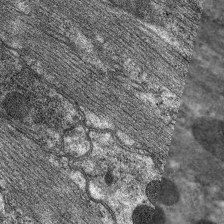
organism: C. elegans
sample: Pharynx